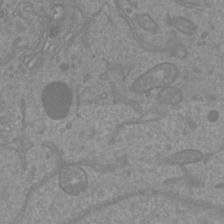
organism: Mouse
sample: Cortical neurons